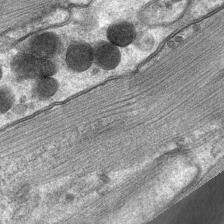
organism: C. elegans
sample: Pharynx